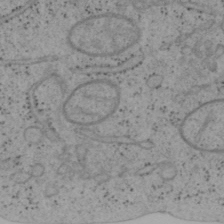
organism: Human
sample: HeLa cells